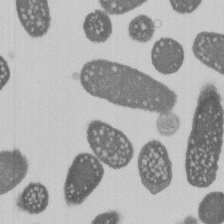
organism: E. coli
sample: Bacterial nucleoid